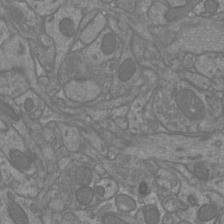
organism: Mouse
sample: Cortical neurons